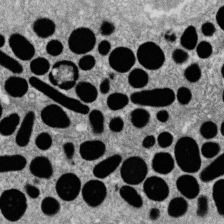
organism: Zebrafish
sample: Cilia; retinal pigment epithelium